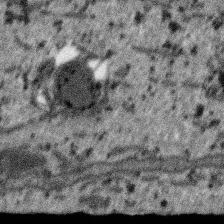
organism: Human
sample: Lung epithelial cells infected with SARS-CoV-2